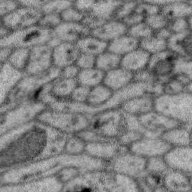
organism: Zebra finch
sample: Brain